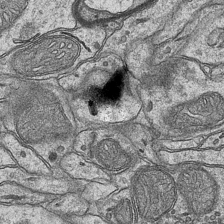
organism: Mouse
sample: CA1 Hippocampus